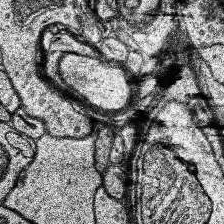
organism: Human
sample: Temporal Lobe